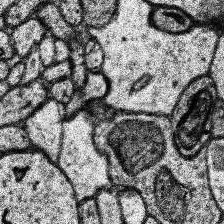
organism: Human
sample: Temporal Lobe